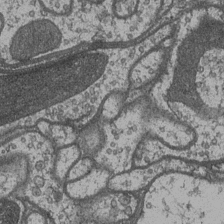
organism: Drosophila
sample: Optic medulla